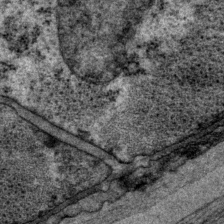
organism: P. pacificus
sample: Pharynx